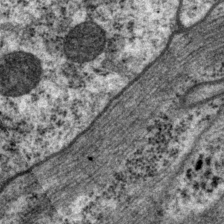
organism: P. pacificus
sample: Pharynx